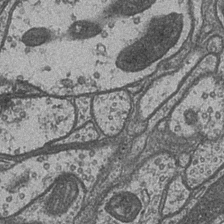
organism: Drosophila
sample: Optic medulla